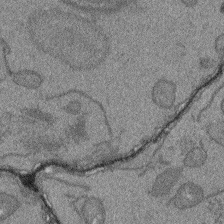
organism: Arabidopsis thaliana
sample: Root tip